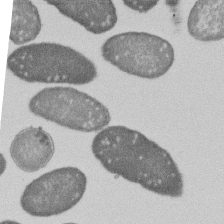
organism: E. coli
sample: Bacterial nucleoid